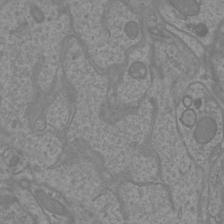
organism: Mouse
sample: Cortical neurons